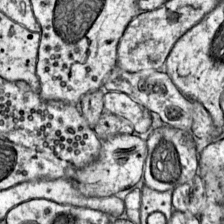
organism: Mouse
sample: Primary visual cortex